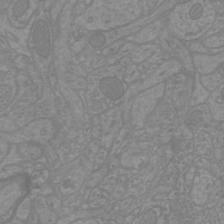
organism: Mouse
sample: Cortical neurons